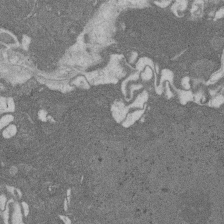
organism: Rat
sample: Salivary granule